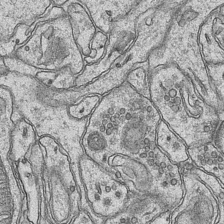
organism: Mouse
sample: CA1 Hippocampus